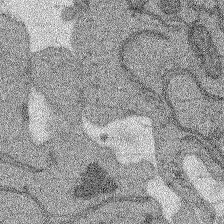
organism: Human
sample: HeLa cells